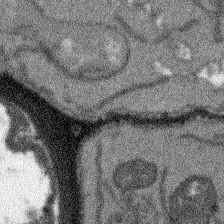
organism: Arabidopsis thaliana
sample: Root tip